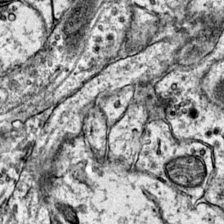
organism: Mouse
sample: Primary visual cortex